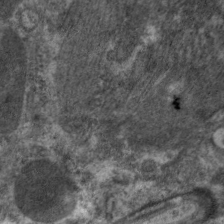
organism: C. elegans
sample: Pharynx